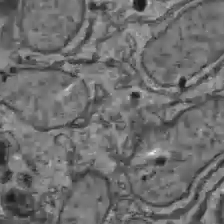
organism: C57BL Mouse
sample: Liver